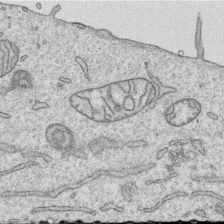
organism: Human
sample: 1205lu cells